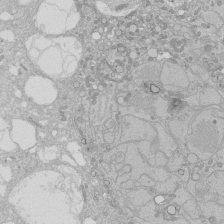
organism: Human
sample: Caco-2 cells